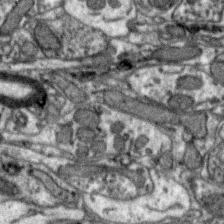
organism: Zebra finch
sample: Brain